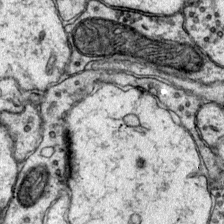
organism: Mouse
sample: Primary visual cortex